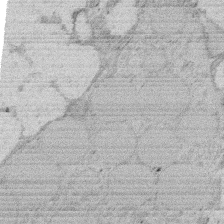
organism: Rat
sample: Salivary granule